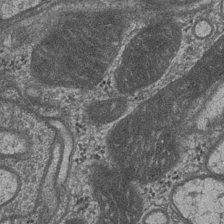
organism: Drosophila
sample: Optic medulla